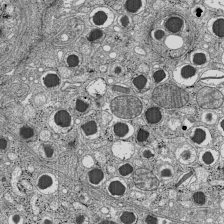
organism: C57BL Mouse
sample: Pancreatic islet